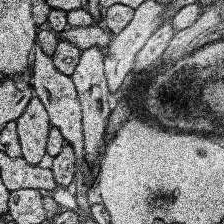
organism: Human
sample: Temporal Lobe